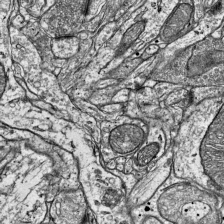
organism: Mouse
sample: Visual Cortex